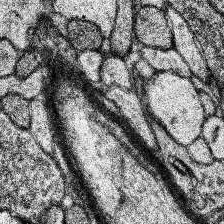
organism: Human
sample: Temporal Lobe